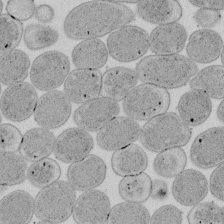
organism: E. coli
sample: Bacterial nucleoid